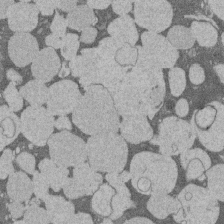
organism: Rat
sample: Salivary granule